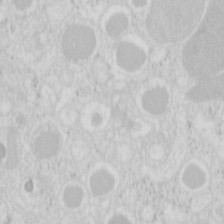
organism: Mouse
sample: Pancreas